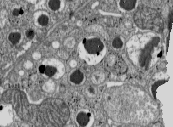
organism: C57BL Mouse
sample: Pancreatic islet